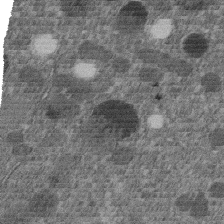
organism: C. elegans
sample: C. elegans embryo early stage